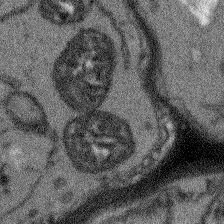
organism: Arabidopsis thaliana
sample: Root tip